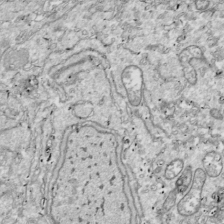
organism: Drosophila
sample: Cell division; meiosis; drosophila spermatocytes